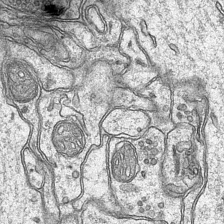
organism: Mouse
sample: CA1 Hippocampus